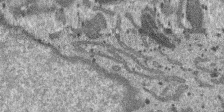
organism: Human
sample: Lung epithelial cells infected with SARS-CoV-2